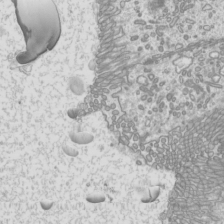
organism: Mouse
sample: Cilia; mouse epididymis